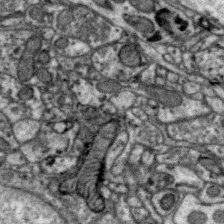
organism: Zebra finch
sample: Brain